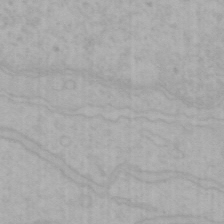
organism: Mouse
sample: Choroid plexus